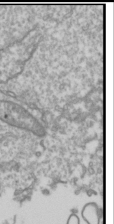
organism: Drosophila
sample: Cell division; meiosis; drosophila spermatocytes